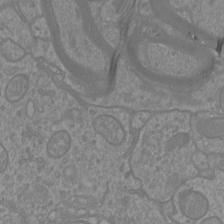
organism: Mouse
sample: Cortical neurons